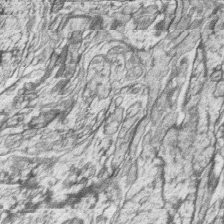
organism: Zebrafish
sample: synaptic ribbons in rod cells and cone cells